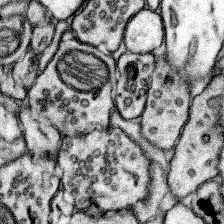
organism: Mouse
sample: Somatosensory cortex neuropil